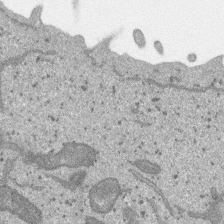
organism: Human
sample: Lung epithelial cells infected with SARS-CoV-2